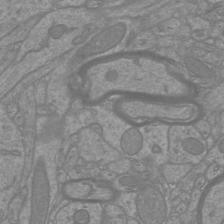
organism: Mouse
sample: Cortical neurons